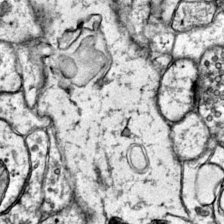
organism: Mouse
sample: Primary visual cortex